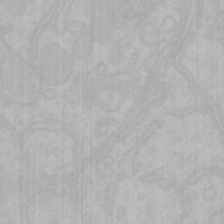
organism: Mouse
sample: Choroid plexus